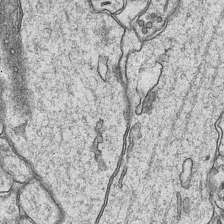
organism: Mouse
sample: CA1 Hippocampus